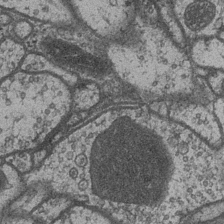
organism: Drosophila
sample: Optic medulla